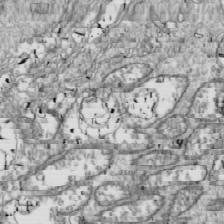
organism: Drosophila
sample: Cell division; meiosis; drosophila spermatocytes